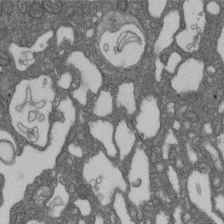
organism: Drosophila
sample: Nephrocyte